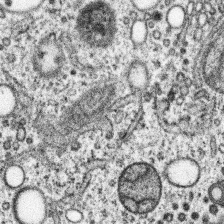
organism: Human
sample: HeLa cells